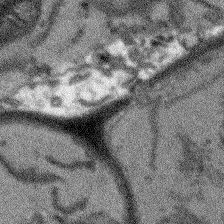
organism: Arabidopsis thaliana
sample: Root tip